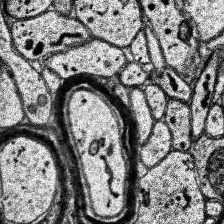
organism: Human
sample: Temporal Lobe